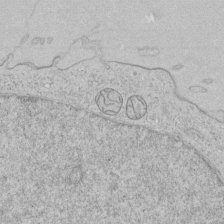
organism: Human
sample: Mitochondria in HCT116 cells